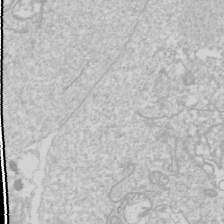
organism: Drosophila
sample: Cell division; meiosis; drosophila spermatocytes